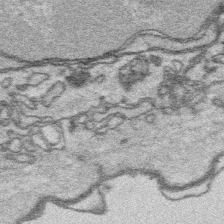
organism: Platynereis dumerilii